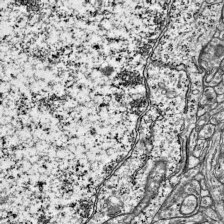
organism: Mouse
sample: Visual Cortex